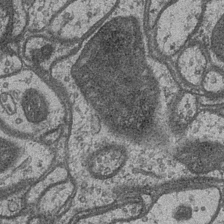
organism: Drosophila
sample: Optic medulla